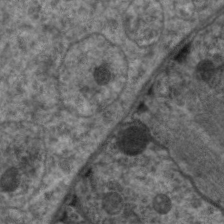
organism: C. elegans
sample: Pharynx